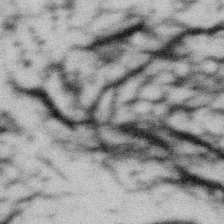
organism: Gemmata obscuriglobus